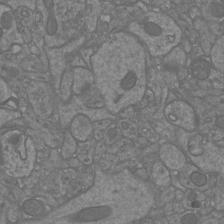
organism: Mouse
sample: Cortical neurons